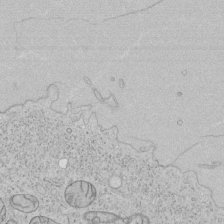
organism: Human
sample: Mitochondria in HCT116 cells